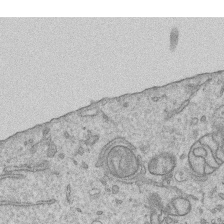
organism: Human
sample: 1205lu cells